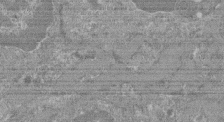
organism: Mouse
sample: Glomerulus